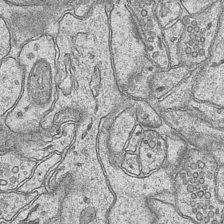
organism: Mouse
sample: CA1 Hippocampus